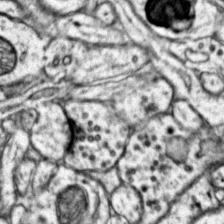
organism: Mouse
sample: Primary visual cortex